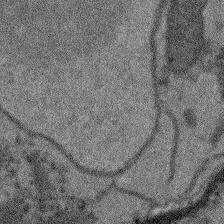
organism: Arabidopsis thaliana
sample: Root tip